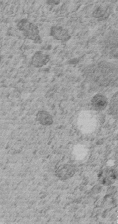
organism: C. elegans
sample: C. elegans embryo early stage